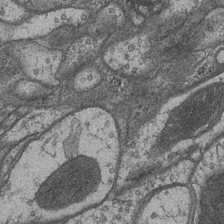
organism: Drosophila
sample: Optic medulla